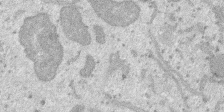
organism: Human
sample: Lung epithelial cells infected with SARS-CoV-2